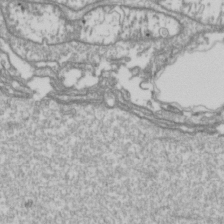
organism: Drosophila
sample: Cell division; meiosis; drosophila spermatocytes